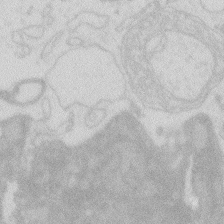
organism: Zebrafish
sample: Macrophage